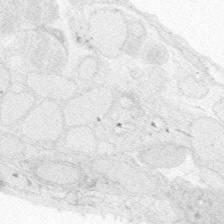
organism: Zebrafish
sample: Whole-Brain